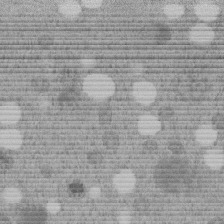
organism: C. elegans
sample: C. elegans embryo early stage